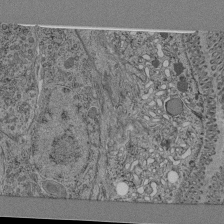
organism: C. elegans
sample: C. elegans pharynx